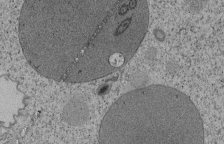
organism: Tetrahymena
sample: Cilia in tetrahymena